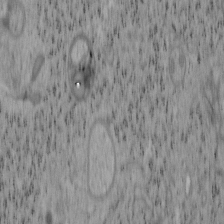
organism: Human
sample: HeLa cells